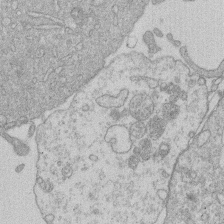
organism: Human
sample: Macrophage cells